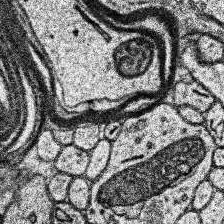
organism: Human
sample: Temporal Lobe